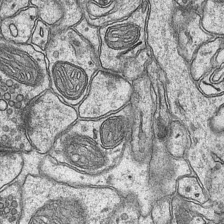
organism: Mouse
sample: CA1 Hippocampus